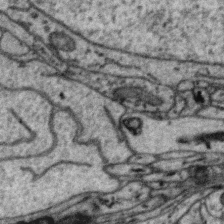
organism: Zebra finch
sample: Brain